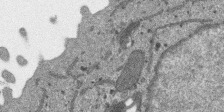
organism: Human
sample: Lung epithelial cells infected with SARS-CoV-2